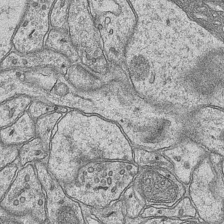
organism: Mouse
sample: CA1 Hippocampus